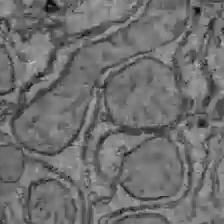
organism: C57BL Mouse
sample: Liver